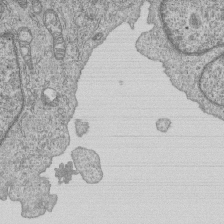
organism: Human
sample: MDA-MB-231 cells